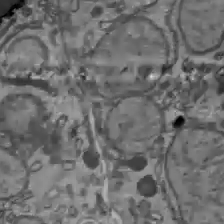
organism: C57BL Mouse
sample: Liver